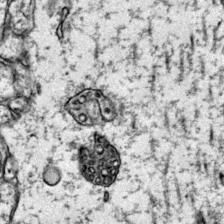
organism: Mouse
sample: Primary visual cortex